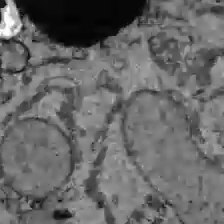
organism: C57BL Mouse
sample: Liver